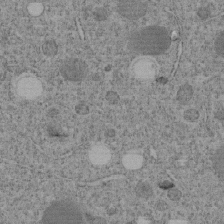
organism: C. elegans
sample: C. elegans embryo early stage